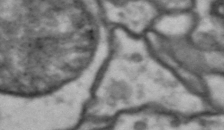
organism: Drosophila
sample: Brain